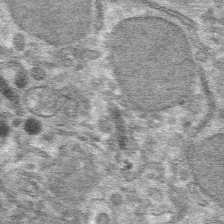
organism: Mouse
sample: Mouse hepatocytes